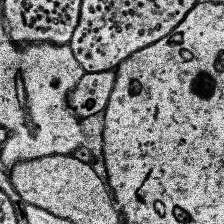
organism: Human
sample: Temporal Lobe